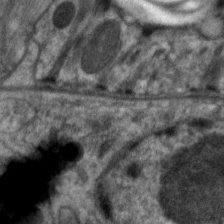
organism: C. elegans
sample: Pharynx